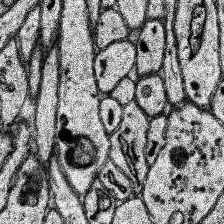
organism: Human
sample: Temporal Lobe